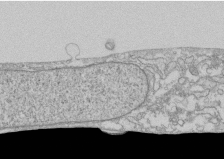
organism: Human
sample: CRL-1474